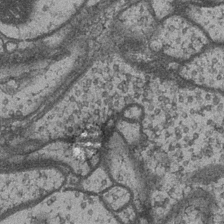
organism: Drosophila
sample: Optic medulla